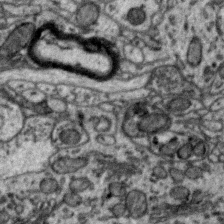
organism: Zebra finch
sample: Brain